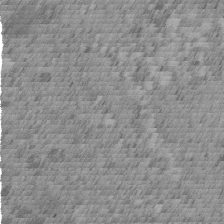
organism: C. elegans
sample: C. elegans embryo early stage